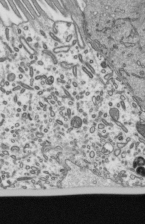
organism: Mouse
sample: Mouse epididymis efferent ductule cilia